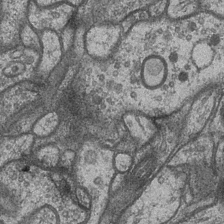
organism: Drosophila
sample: Optic medulla